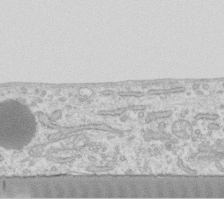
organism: Human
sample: Fibroblast cells